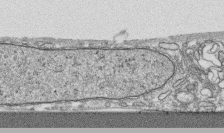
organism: Human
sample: CRL-1474